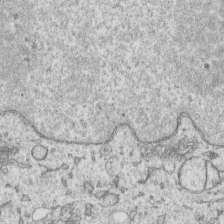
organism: Human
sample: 1205lu cells